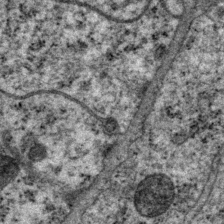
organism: P. pacificus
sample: Pharynx